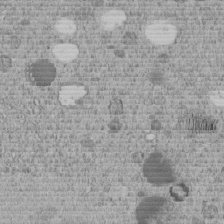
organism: C. elegans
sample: C. elegans embryo early stage